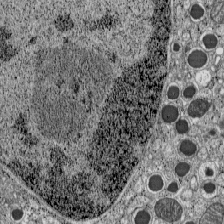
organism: C57BL Mouse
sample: Pancreatic islet